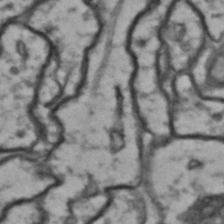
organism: Drosophila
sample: Brain